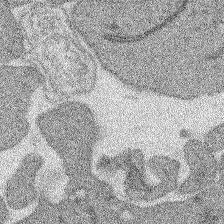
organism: Human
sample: HeLa cells